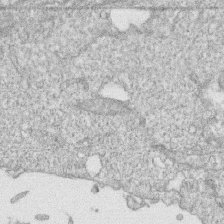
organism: Human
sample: HeLa cell HIV synapse